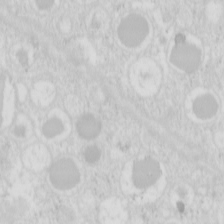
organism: Mouse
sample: Pancreas